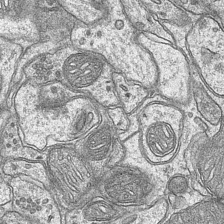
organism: Mouse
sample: CA1 Hippocampus